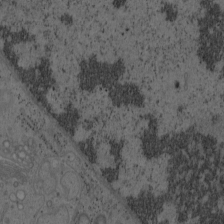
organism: Mouse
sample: OT-I killer T cells with ID8 ovarian cancer cells